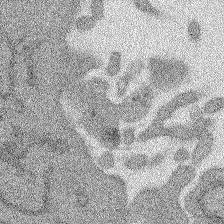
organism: Human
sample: HeLa cells